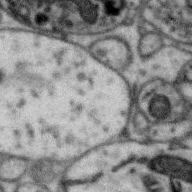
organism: Zebra finch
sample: Brain